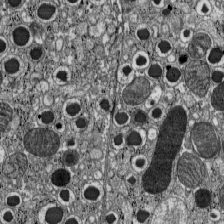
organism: C57BL Mouse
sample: Pancreatic islet